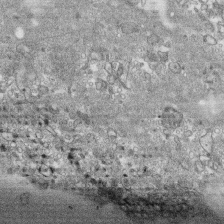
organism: Human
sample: CRL-1474